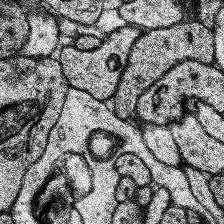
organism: Human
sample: Temporal Lobe